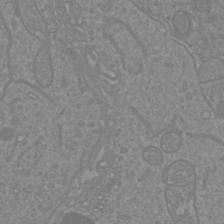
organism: Mouse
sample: Cortical neurons